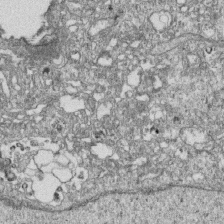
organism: Human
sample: HeLa cell HIV synapse